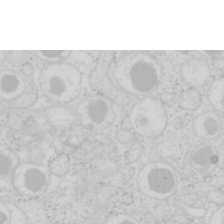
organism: Mouse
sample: Pancreas